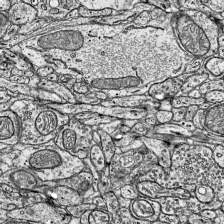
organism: Mouse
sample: Visual Cortex